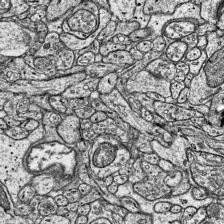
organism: Mouse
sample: Visual Cortex